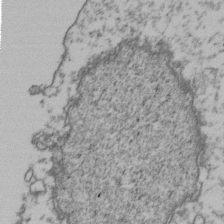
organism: Human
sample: Activated Jurkat CD4+ T cells